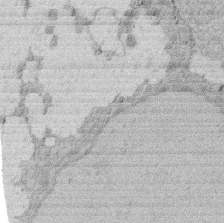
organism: Rat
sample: Salivary granule